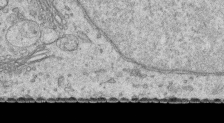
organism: Human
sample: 1205lu cells